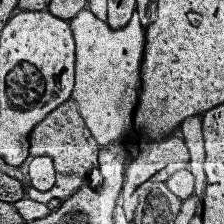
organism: Human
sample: Temporal Lobe